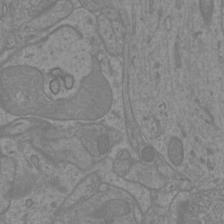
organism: Mouse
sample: Cortical neurons